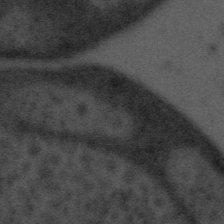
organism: Tuwongella immobilis